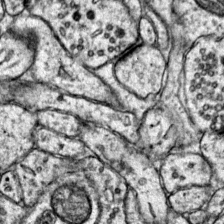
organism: Mouse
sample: Primary visual cortex